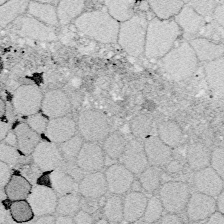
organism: Zebrafish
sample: Whole-Brain